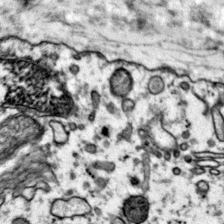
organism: Mouse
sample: Primary visual cortex